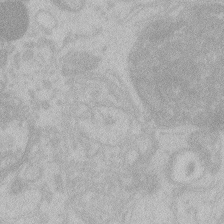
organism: Zebrafish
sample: Macrophage infected with Toxoplasma gondii